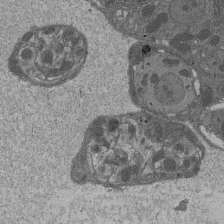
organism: Drosophila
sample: Antenna